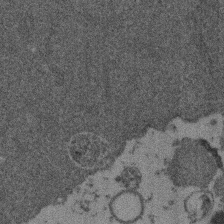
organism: Mouse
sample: Dividing mouse embryo 1 cell stage